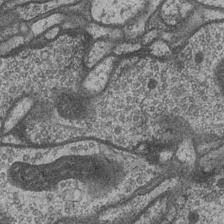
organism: Drosophila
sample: Optic medulla